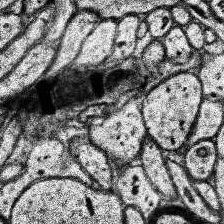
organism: Human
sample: Temporal Lobe